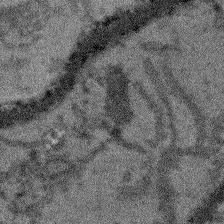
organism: Arabidopsis thaliana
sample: Root tip